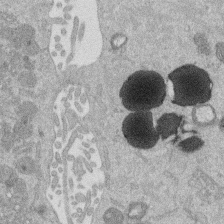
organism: Mouse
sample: Dividing mouse embryo 1 cell stage